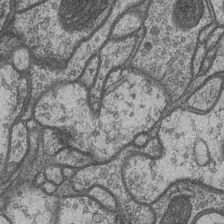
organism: Drosophila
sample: Optic medulla